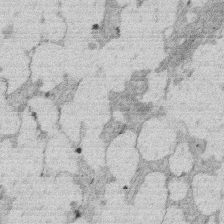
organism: Rat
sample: Salivary granule